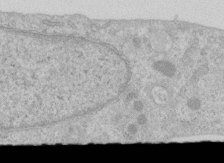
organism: Human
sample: Centriole in RPE cells